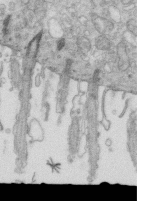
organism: Mouse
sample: Multiciliated cells